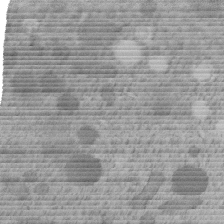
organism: C. elegans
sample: C. elegans embryo early stage